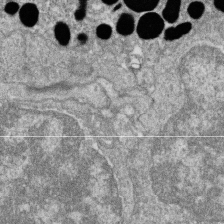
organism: Zebrafish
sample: Cilia; retinal pigment epithelium